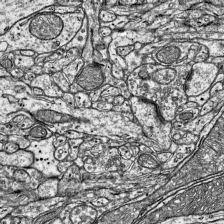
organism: Mouse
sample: Visual Cortex